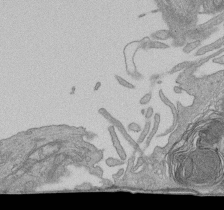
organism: Human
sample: Retinal organoid Rod and Cone cells